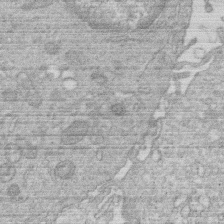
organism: Human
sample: Macrophage cells